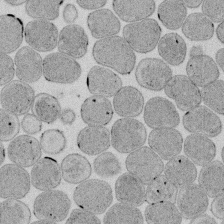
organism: E. coli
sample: Bacterial nucleoid